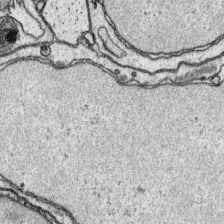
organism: Platynereis dumerilii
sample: Parapodia